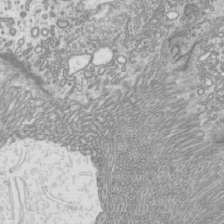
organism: Mouse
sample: Cilia; mouse epididymis